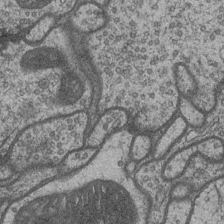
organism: Drosophila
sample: Optic medulla